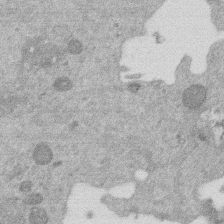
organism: Mouse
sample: Dividing mouse embryo 1 cell stage